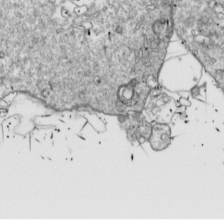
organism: Drosophila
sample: Cell division; meiosis; drosophila spermatocytes